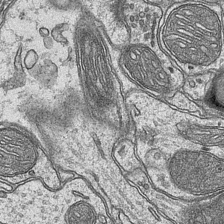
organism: Mouse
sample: CA1 Hippocampus